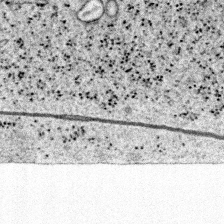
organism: Human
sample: HeLa cells